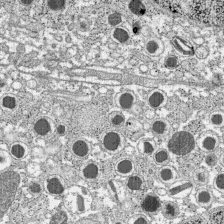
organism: C57BL Mouse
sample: Pancreatic islet